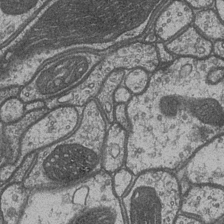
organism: Drosophila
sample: Optic medulla